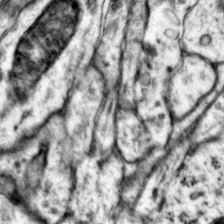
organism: Mouse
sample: Primary visual cortex